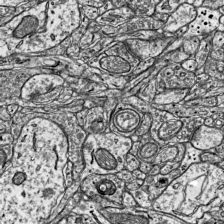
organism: Mouse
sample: Visual Cortex